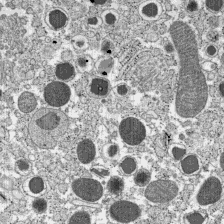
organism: C57BL Mouse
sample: Pancreatic islet